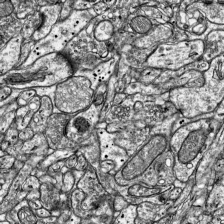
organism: Mouse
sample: Visual Cortex